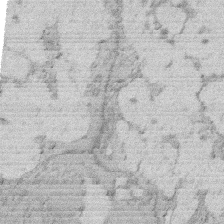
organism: Rat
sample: Salivary granule